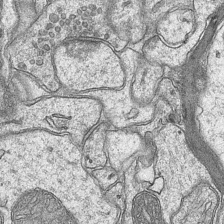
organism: Mouse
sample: CA1 Hippocampus